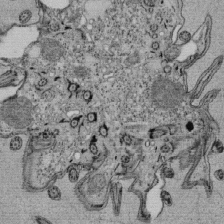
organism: Tetrahymena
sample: Cilia in tetrahymena